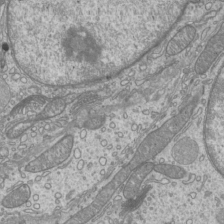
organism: Mouse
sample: Cilia; mouse epididymis